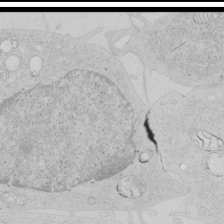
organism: Human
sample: Mitochondria in HCT116 cells